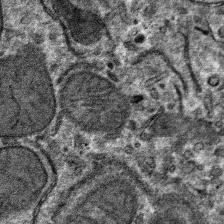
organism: Mouse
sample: Mouse hepatocytes